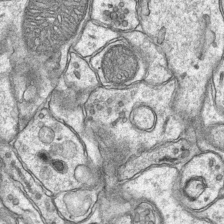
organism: Mouse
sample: CA1 Hippocampus